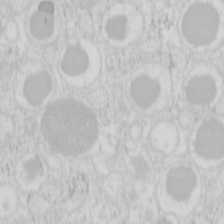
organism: Mouse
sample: Pancreas